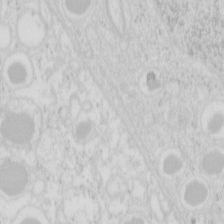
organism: Mouse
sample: Pancreas